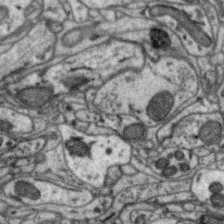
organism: Zebra finch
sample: Brain